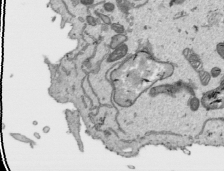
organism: Human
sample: Mitochondria in HCT116 cells